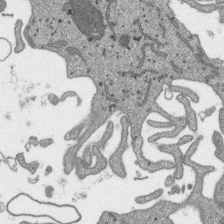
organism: Human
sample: Lung epithelial cells infected with SARS-CoV-2